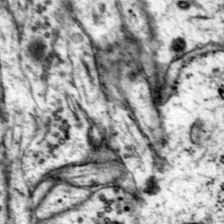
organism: Mouse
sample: Primary visual cortex